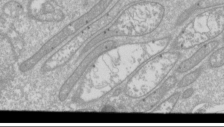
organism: Drosophila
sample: Cell division; meiosis; drosophila spermatocytes